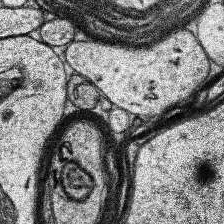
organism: Human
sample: Temporal Lobe